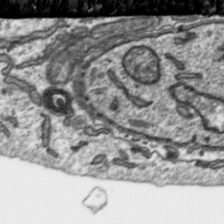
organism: Toxoplasma gondii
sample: Parasites in a vacuole inside a host cell